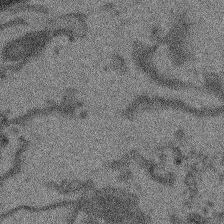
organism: Arabidopsis thaliana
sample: Root tip